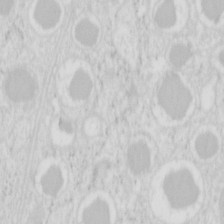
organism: Mouse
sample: Pancreas